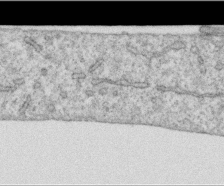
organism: Human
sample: Centriole in RPE cells